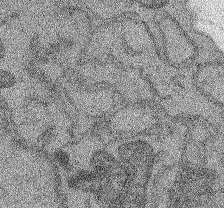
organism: Human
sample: HeLa cells